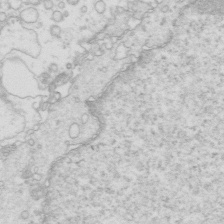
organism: Mouse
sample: Multiciliated cells